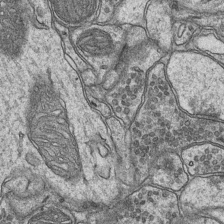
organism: Mouse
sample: CA1 Hippocampus